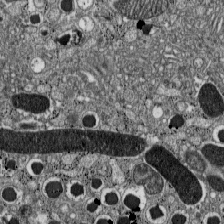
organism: C57BL Mouse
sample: Pancreatic islet